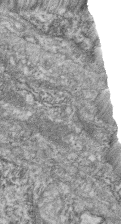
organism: Zebrafish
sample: Cilia; retinal pigment epithelium